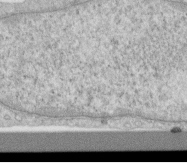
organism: Human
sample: Centriole in RPE cells